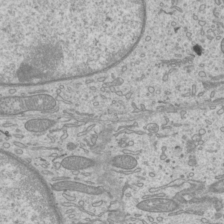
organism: Mouse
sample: Cilia; mouse epididymis